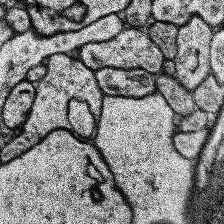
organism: Human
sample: Temporal Lobe